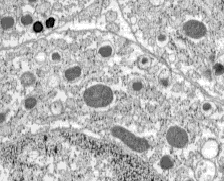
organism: C57BL Mouse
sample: Pancreatic islet